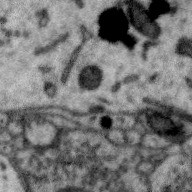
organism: Zebra finch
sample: Brain